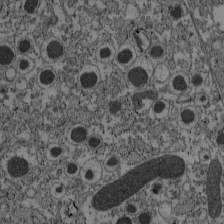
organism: C57BL Mouse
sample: Pancreatic islet